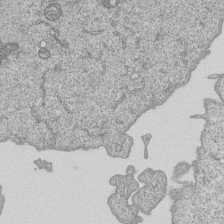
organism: Human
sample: MDA-MB-231 cells